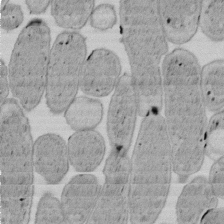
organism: E. coli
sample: Bacterial nucleoid